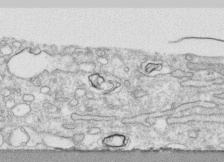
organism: Human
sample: CRL-1474